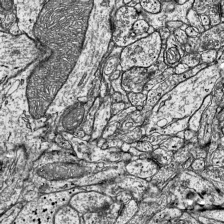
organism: Mouse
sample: Visual Cortex